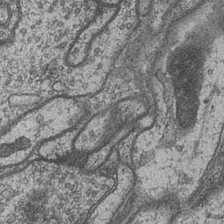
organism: Drosophila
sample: Optic medulla